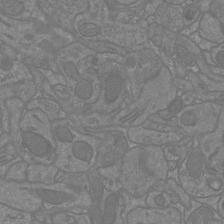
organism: Mouse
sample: Cortical neurons